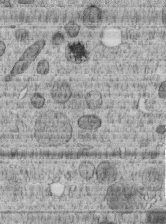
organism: C. elegans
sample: C. elegans embryo early stage